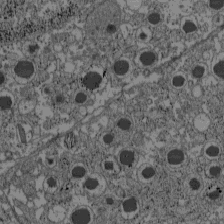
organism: C57BL Mouse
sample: Pancreatic islet